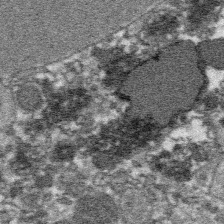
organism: Platynereis dumerilii